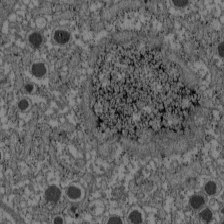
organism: C57BL Mouse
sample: Pancreatic islet